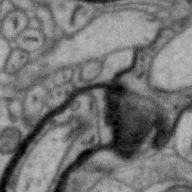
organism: Zebra finch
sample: Brain